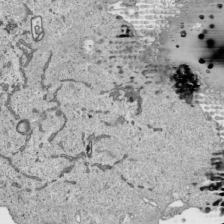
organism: Human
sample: Mitochondria in HCT116 cells